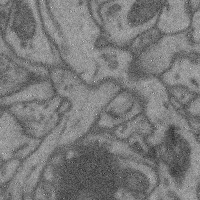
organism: Mouse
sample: Cerebral cortex